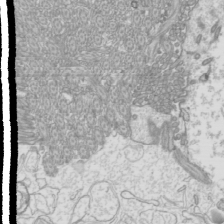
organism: Mouse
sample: Cilia; mouse epididymis